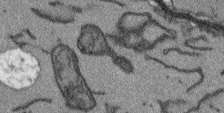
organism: Arabidopsis thaliana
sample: Root tip